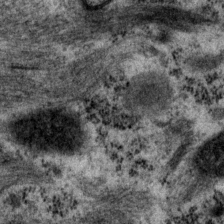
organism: P. pacificus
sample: Pharynx